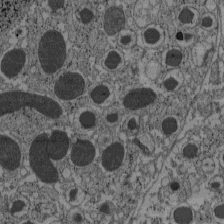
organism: C57BL Mouse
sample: Pancreatic islet